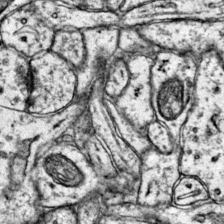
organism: Mouse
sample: Primary visual cortex